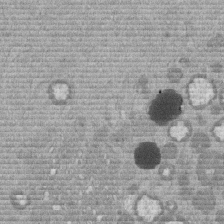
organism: Mouse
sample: Dividing mouse embryo 1 cell stage